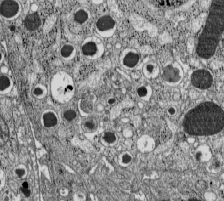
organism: C57BL Mouse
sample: Pancreatic islet